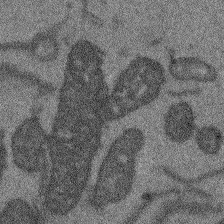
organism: Arabidopsis thaliana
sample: Root tip